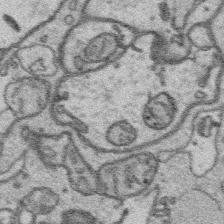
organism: Platynereis dumerilii